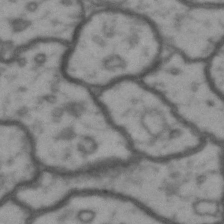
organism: Drosophila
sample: Brain